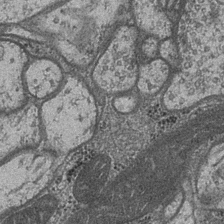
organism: Drosophila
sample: Optic medulla